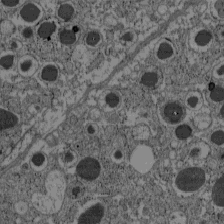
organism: C57BL Mouse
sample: Pancreatic islet